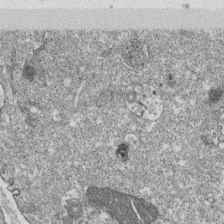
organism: African green monkey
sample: Vero E6 cells infected with SARS-CoV-2